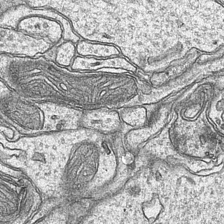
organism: Mouse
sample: CA1 Hippocampus